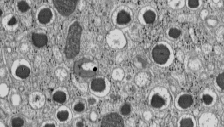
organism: C57BL Mouse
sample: Pancreatic islet